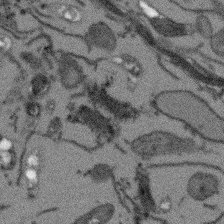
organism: Arabidopsis thaliana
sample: Root tip